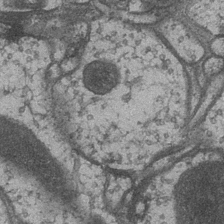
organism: Drosophila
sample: Optic medulla